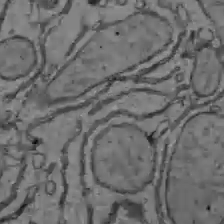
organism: C57BL Mouse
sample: Liver